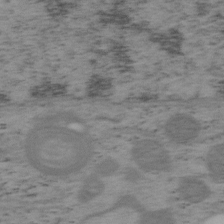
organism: Mouse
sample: OT-I killer T cells with ID8 ovarian cancer cells